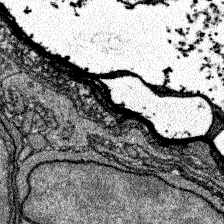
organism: Zebrafish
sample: Larval olfactory bulb